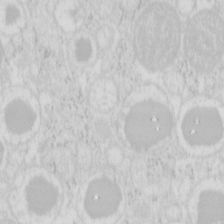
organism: Mouse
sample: Pancreas